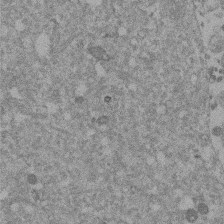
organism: Mouse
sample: Dividing mouse embryo 1 cell stage